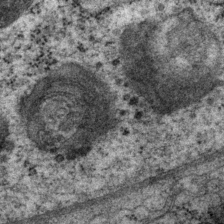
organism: P. pacificus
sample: Pharynx